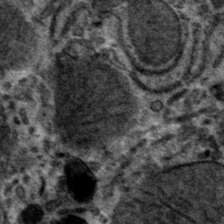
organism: Mouse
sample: Mouse hepatocytes